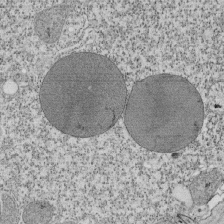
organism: Tetrahymena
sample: Cilia in tetrahymena